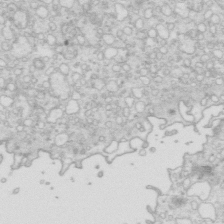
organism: Mouse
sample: Multiciliated cells